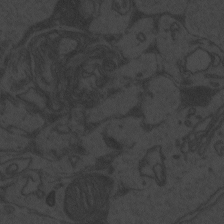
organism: Zebrafish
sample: Macrophage infected with Toxoplasma gondii